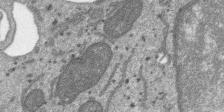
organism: Human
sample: Lung epithelial cells infected with SARS-CoV-2